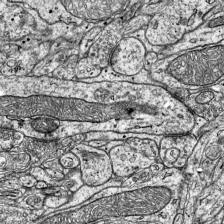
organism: Mouse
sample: Visual Cortex